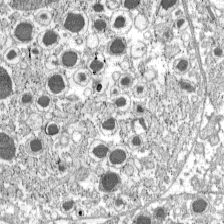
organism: C57BL Mouse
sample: Pancreatic islet